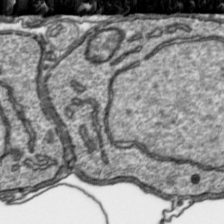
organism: Toxoplasma gondii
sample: Parasites in a vacuole inside a host cell